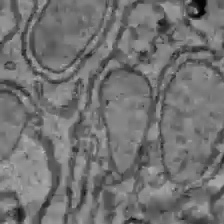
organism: C57BL Mouse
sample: Liver